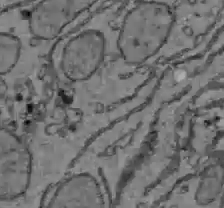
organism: C57BL Mouse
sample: Liver